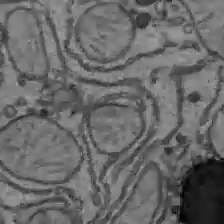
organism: C57BL Mouse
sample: Liver